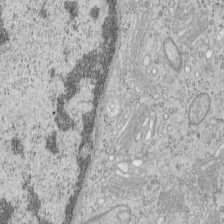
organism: Mouse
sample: OT-I killer T cells with ID8 ovarian cancer cells